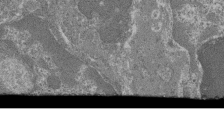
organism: Mouse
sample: Glomerulus